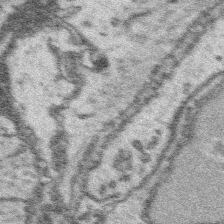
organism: Platynereis dumerilii